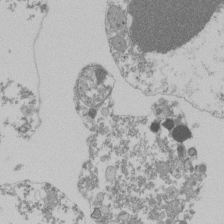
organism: Mouse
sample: Activated Pmel transgenic CD8+ T Cells